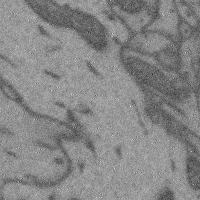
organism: Mouse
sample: Cerebral cortex